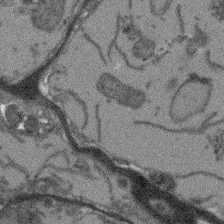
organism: Arabidopsis thaliana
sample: Root tip